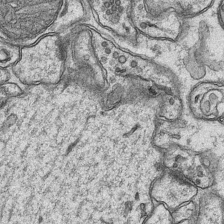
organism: Mouse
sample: CA1 Hippocampus